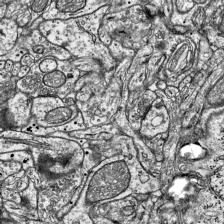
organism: Mouse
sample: Visual Cortex